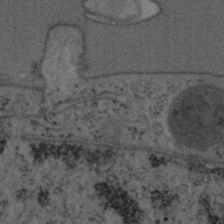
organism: Human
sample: HeLa cells